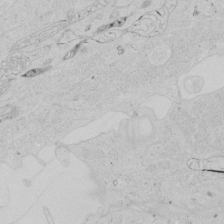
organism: Human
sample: Mitochondria in HCT116 cells